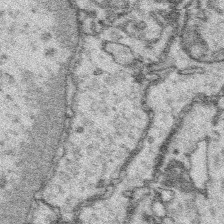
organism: Platynereis dumerilii